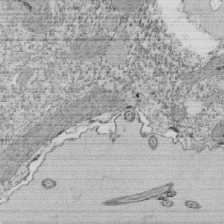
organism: Tetrahymena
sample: Cilia in tetrahymena